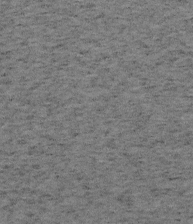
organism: Mouse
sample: OT-I killer T cells with ID8 ovarian cancer cells